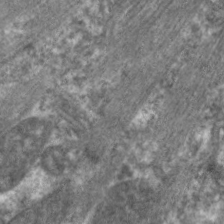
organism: C. elegans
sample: Pharynx